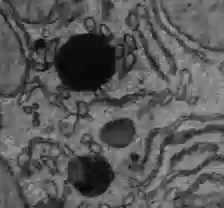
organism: C57BL Mouse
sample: Liver